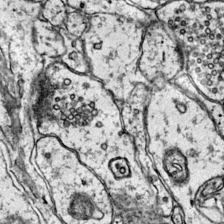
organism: Mouse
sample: Primary visual cortex